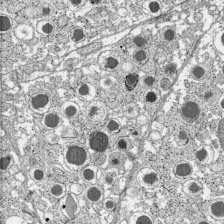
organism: C57BL Mouse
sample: Pancreatic islet